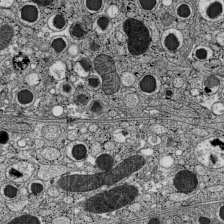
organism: C57BL Mouse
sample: Pancreatic islet